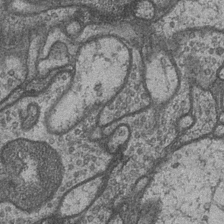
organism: Drosophila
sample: Optic medulla